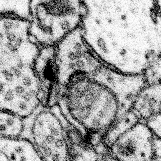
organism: Mouse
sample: Somatosensory cortex neuropil